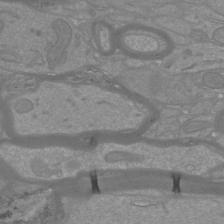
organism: Mouse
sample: Cortical neurons